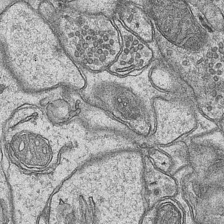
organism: Mouse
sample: CA1 Hippocampus